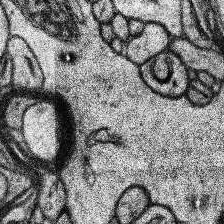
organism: Human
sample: Temporal Lobe